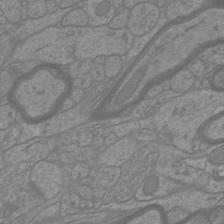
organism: Mouse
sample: Cortical neurons